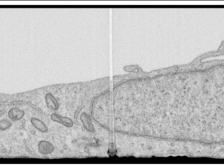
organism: Human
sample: Centriole in RPE cells